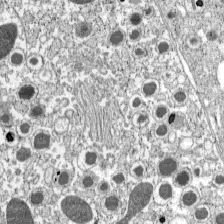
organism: C57BL Mouse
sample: Pancreatic islet